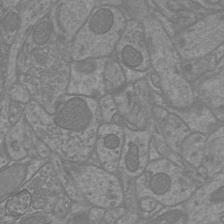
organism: Mouse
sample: Cortical neurons